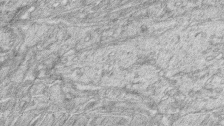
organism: Zebrafish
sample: synaptic ribbons in rod cells and cone cells